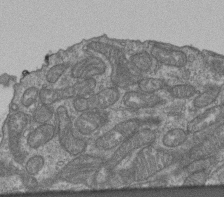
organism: Human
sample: Retinal organoid Rod and Cone cells